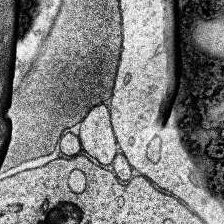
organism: Human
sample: Temporal Lobe